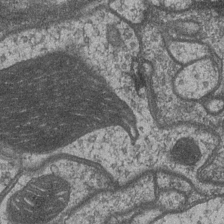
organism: Drosophila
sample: Optic medulla